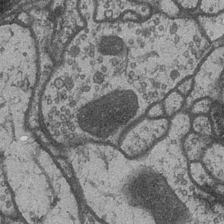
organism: Drosophila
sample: Optic medulla